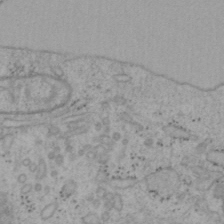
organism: Human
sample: HeLa cells